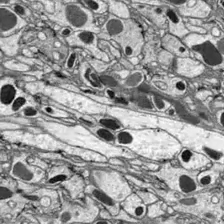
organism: Drosophila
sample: Optic lobe